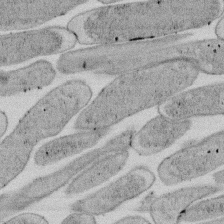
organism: E. coli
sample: Bacterial nucleoid